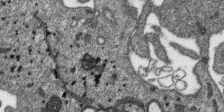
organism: Human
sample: Lung epithelial cells infected with SARS-CoV-2